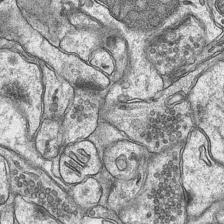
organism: Mouse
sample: CA1 Hippocampus